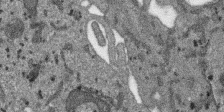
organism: Human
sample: Lung epithelial cells infected with SARS-CoV-2